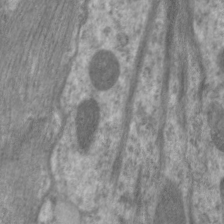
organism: C. elegans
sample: Pharynx